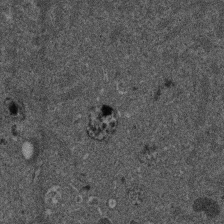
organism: Mouse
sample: Dividing mouse embryo 1 cell stage